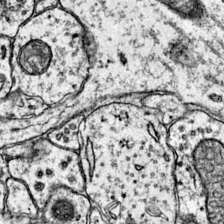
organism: Mouse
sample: Primary visual cortex